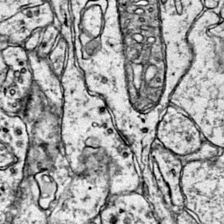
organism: Mouse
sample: Primary visual cortex